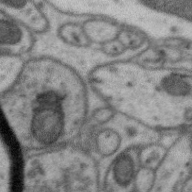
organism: Zebra finch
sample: Brain